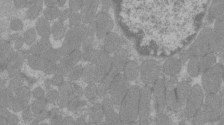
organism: C57BL Mouse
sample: Tibialis anterior muscle cell